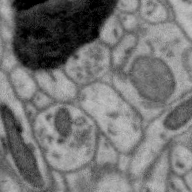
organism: Zebra finch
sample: Brain